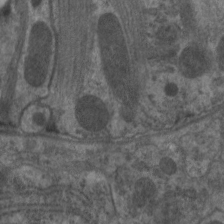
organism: C. elegans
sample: Pharynx